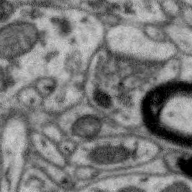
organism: Zebra finch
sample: Brain